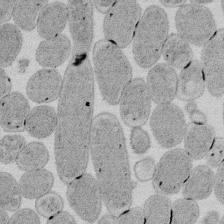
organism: E. coli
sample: Bacterial nucleoid